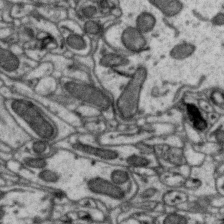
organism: Zebra finch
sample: Brain